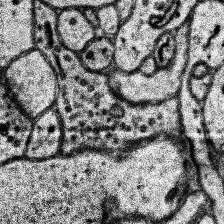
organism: Human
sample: Temporal Lobe